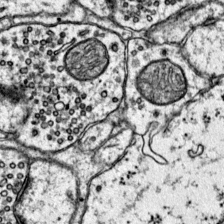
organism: Mouse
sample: Primary visual cortex